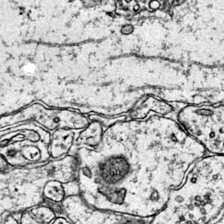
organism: Mouse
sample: Primary visual cortex